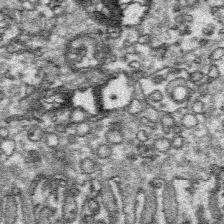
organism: Platynereis dumerilii